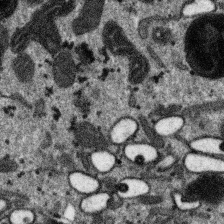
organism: Human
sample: Lung epithelial cells infected with SARS-CoV-2